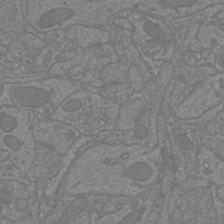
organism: Mouse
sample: Cortical neurons